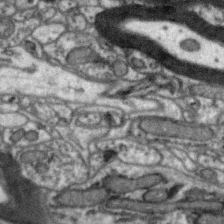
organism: Zebra finch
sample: Brain